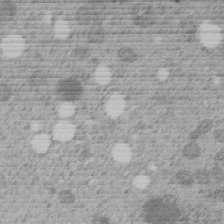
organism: C. elegans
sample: C. elegans embryo early stage